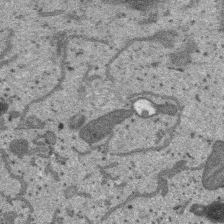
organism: Human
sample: Lung epithelial cells infected with SARS-CoV-2